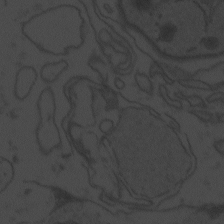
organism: Zebrafish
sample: Macrophage infected with Toxoplasma gondii